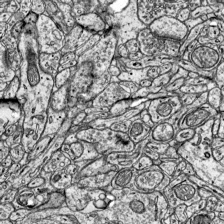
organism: Mouse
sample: Visual Cortex